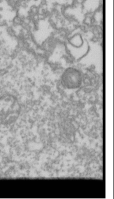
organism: Drosophila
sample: Cell division; meiosis; drosophila spermatocytes